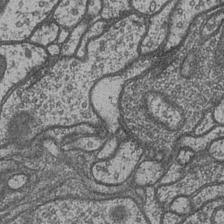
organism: Drosophila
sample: Optic medulla